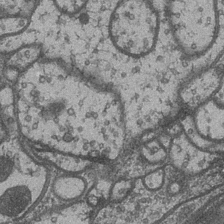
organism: Drosophila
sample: Optic medulla